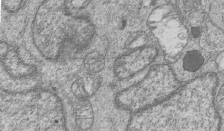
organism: Human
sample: MDA-MB-231 cells